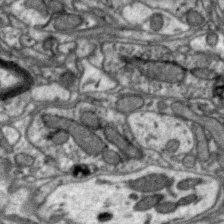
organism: Zebra finch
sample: Brain